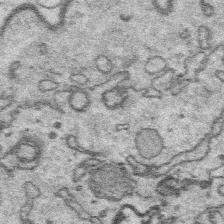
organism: Platynereis dumerilii